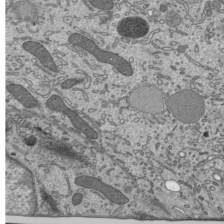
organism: Mouse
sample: Mouse epididymis efferent ductule cilia